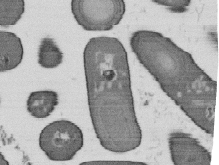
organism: B. subtilis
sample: Bacterial spore